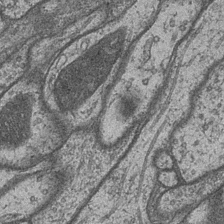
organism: Drosophila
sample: Optic medulla